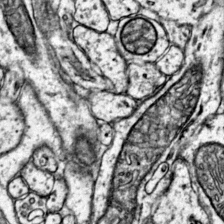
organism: Mouse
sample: Primary visual cortex